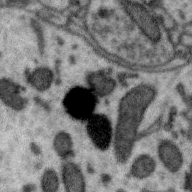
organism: Zebra finch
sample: Brain